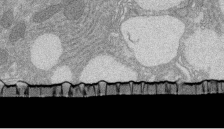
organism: Rat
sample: Salivary granule